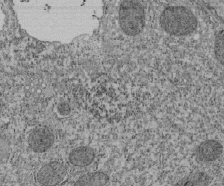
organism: Tetrahymena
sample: Cilia in tetrahymena